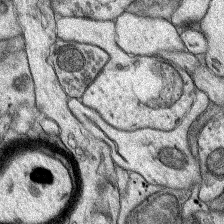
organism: Rat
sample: Hippocampus